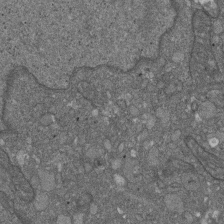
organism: Drosophila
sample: Nephrocyte